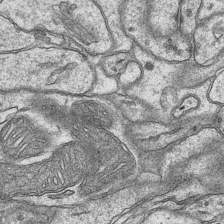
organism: Mouse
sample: CA1 Hippocampus